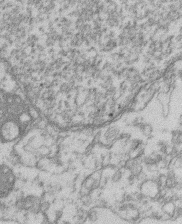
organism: Mouse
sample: T cell stromal cell synapse